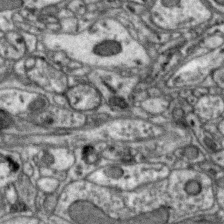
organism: Zebra finch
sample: Brain